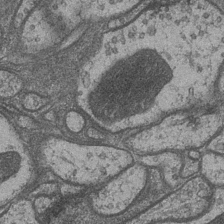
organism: Drosophila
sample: Optic medulla